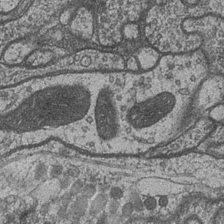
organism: Drosophila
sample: Optic medulla